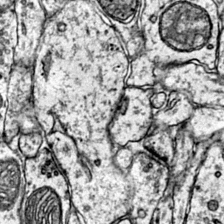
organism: Mouse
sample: Primary visual cortex